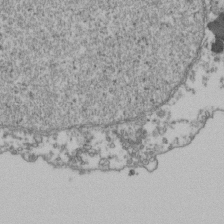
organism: Human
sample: Activated Jurkat CD4+ T cells